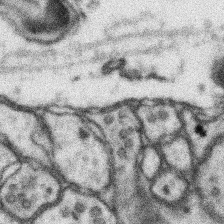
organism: Mouse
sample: Somatosensory cortex neuropil